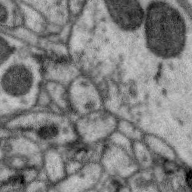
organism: Zebra finch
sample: Brain